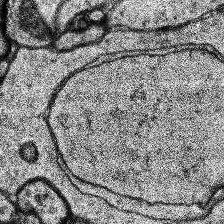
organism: Human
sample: Temporal Lobe